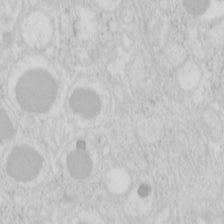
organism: Mouse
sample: Pancreas